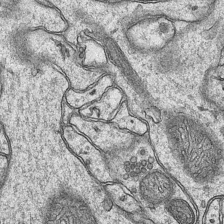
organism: Mouse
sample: CA1 Hippocampus